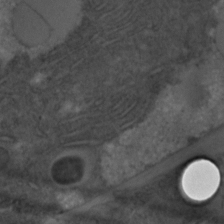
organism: C. elegans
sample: C. elegans embryo